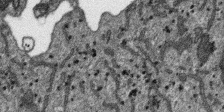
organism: Human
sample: Lung epithelial cells infected with SARS-CoV-2